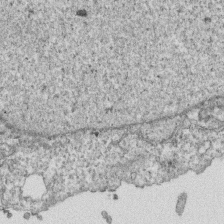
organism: Human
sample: HeLa cell HIV synapse